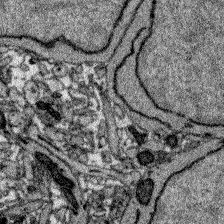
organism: Zebrafish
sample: Larval olfactory bulb